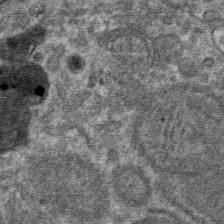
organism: Mouse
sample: Mouse hepatocytes